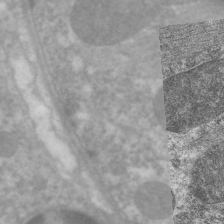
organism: C. elegans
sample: Pharynx